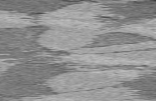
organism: C57BL Mouse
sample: Heart